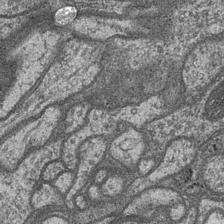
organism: Drosophila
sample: Optic medulla